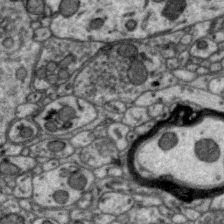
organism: Zebra finch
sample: Brain